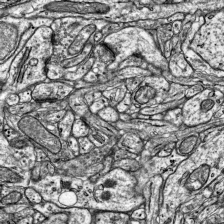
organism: Mouse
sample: Visual Cortex